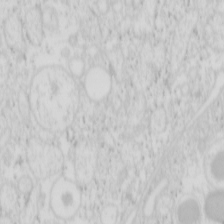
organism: Mouse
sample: Pancreas